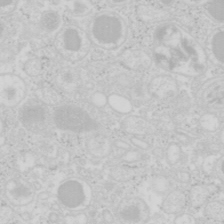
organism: Mouse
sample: Pancreas